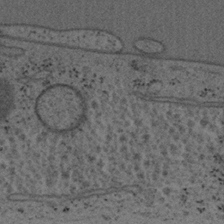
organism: Human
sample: HeLa cells